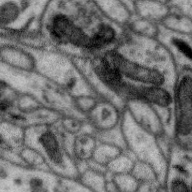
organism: Zebra finch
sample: Brain